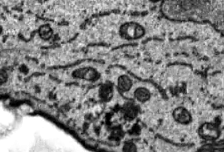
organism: Human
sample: HeLa cells